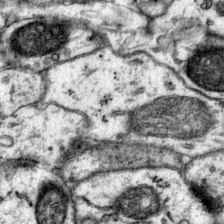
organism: Mouse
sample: Primary visual cortex